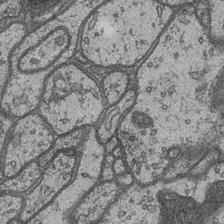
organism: Drosophila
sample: Optic medulla